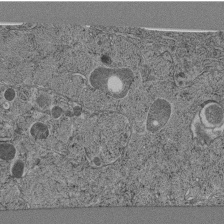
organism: C. elegans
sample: C. elegans pharynx